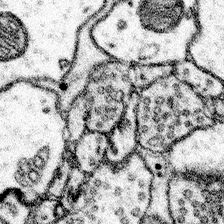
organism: Mouse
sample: Somatosensory cortex neuropil